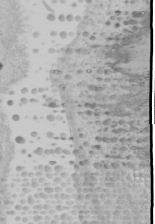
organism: Human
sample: Mitochondria in U2OS cells